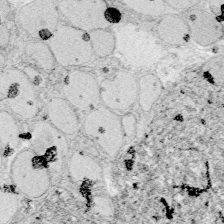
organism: Zebrafish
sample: Whole-Brain